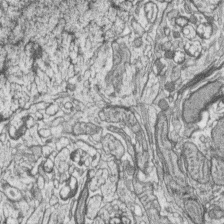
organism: Zebrafish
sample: synaptic ribbons in rod cells and cone cells